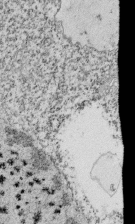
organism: Tetrahymena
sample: Cilia in tetrahymena